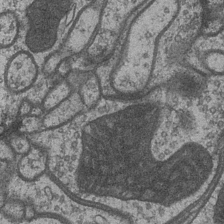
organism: Drosophila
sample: Optic medulla